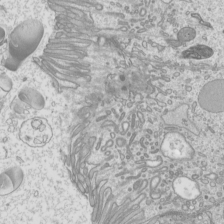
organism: Mouse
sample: Cilia; mouse epididymis